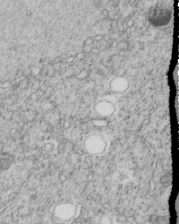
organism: C. elegans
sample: C. elegans embryo early stage